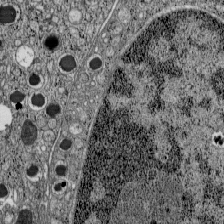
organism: C57BL Mouse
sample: Pancreatic islet